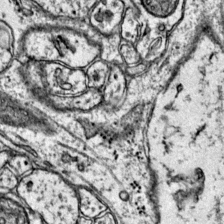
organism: Mouse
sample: Primary visual cortex